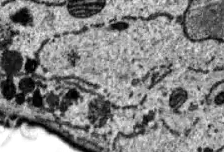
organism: Human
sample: HeLa cells